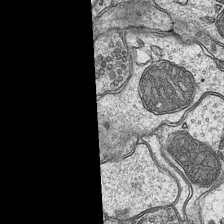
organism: Mouse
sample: CA1 Hippocampus